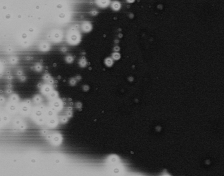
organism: Mouse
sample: Cancer cell death in ED-1 cells